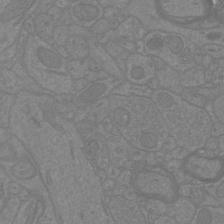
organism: Mouse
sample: Cortical neurons